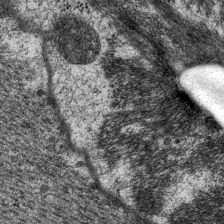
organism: P. pacificus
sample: Pharynx